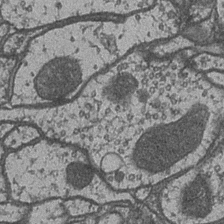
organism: Drosophila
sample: Optic medulla